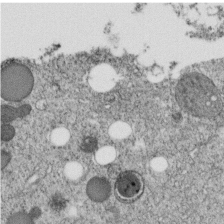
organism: C. elegans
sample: C. elegans embryo early stage